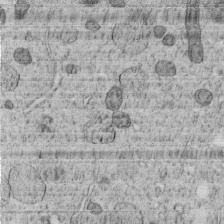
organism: C. elegans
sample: C. elegans embryo early stage